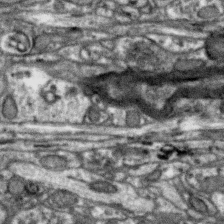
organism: Zebra finch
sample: Brain